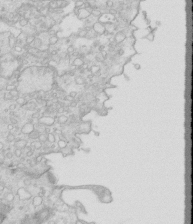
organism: Mouse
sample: Multiciliated cells